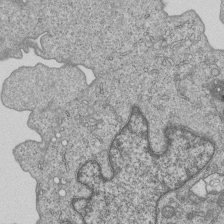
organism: Human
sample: MDA-MB-231 cells